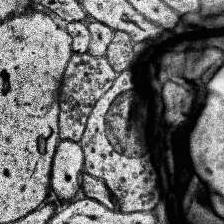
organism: Human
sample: Temporal Lobe